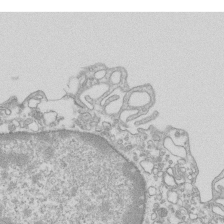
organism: Mouse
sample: Macrophages